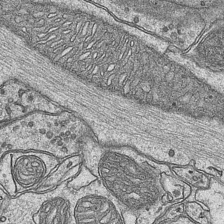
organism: Mouse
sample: CA1 Hippocampus